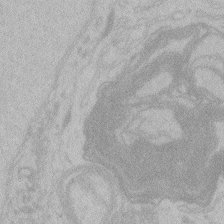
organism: Zebrafish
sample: Macrophage infected with Toxoplasma gondii